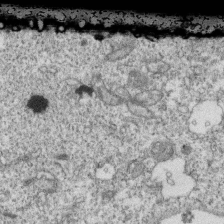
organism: Human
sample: HeLa cell HIV synapse